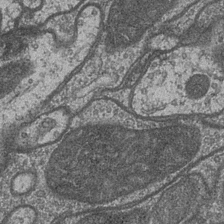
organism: Drosophila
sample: Optic medulla